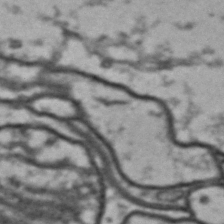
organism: Drosophila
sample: Brain